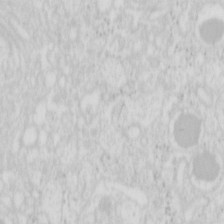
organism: Mouse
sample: Pancreas